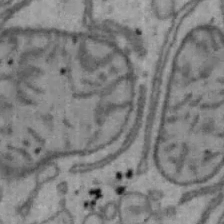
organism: Mouse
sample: Liver